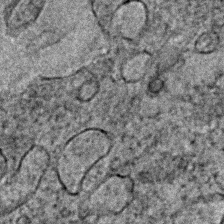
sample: Trachea